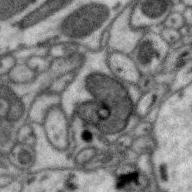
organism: Zebra finch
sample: Brain